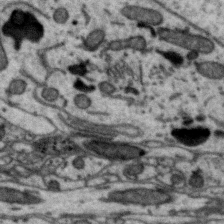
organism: Zebra finch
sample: Brain